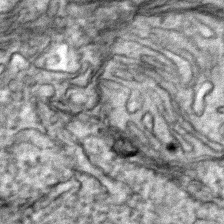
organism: Zebrafish